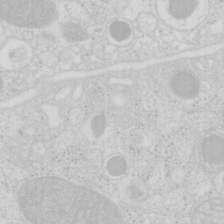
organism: Mouse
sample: Pancreas